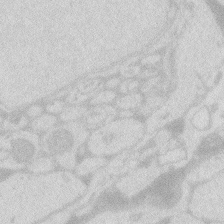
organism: Zebrafish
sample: Macrophage